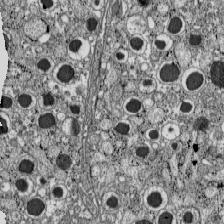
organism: C57BL Mouse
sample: Pancreatic islet